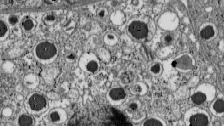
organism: C57BL Mouse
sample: Pancreatic islet